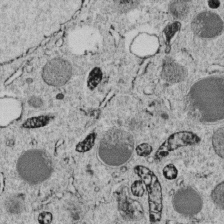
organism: C. elegans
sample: C. elegans embryo early stage